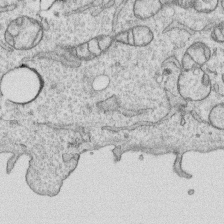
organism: Human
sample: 1205lu cells